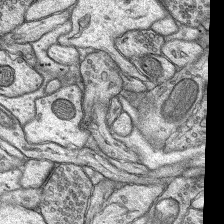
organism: Rat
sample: Hippocampus